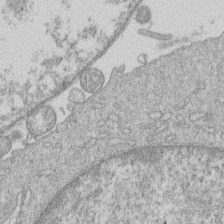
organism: Human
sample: Macrophage cells